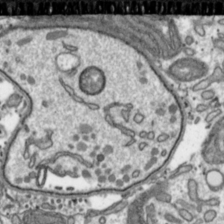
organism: Toxoplasma gondii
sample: Parasites in a vacuole inside a host cell